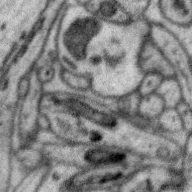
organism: Zebra finch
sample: Brain